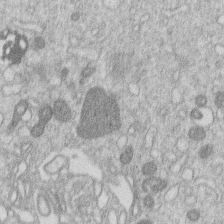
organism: Human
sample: Macrophage cells